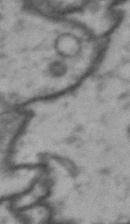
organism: Drosophila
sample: Brain